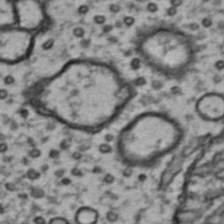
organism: Drosophila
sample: Brain